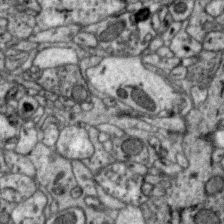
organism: Zebra finch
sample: Brain